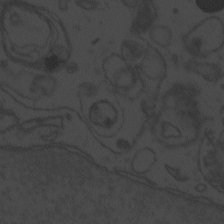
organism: Zebrafish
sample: Macrophage infected with Toxoplasma gondii